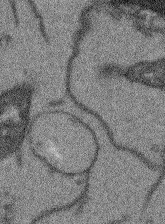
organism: Arabidopsis thaliana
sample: Root tip